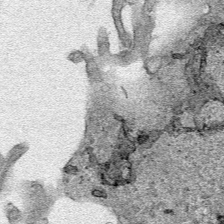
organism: Human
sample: Mitochondria in HCT116 cells